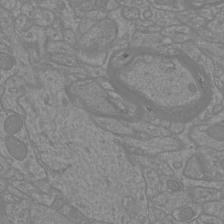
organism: Mouse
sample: Cortical neurons